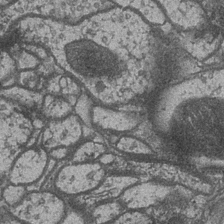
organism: Drosophila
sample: Optic medulla